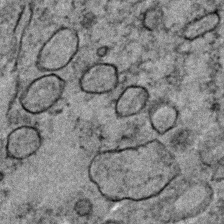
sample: Trachea